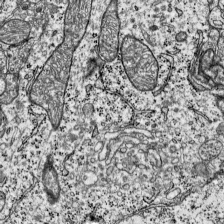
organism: Mouse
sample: Visual Cortex